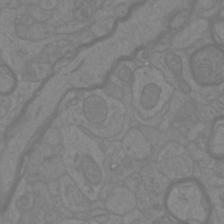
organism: Mouse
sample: Cortical neurons